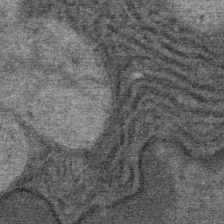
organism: Mouse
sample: Mouse Salivary gland